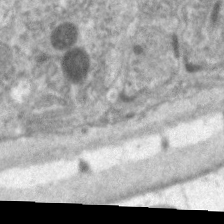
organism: C. elegans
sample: Pharynx